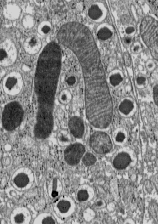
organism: C57BL Mouse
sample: Pancreatic islet